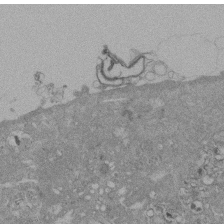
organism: Mouse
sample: ED-1 cell nuclei; centrioles